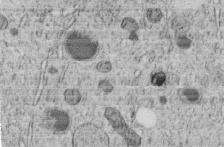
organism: C. elegans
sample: C. elegans embryo early stage